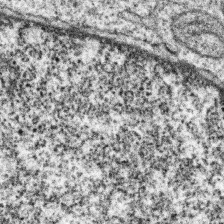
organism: Human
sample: HeLa cells